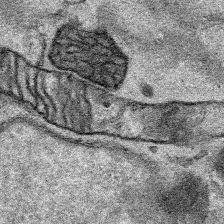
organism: Human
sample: Mitochondria in HCT116 cells